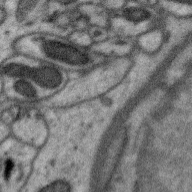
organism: Zebra finch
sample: Brain